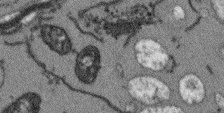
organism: Arabidopsis thaliana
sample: Root tip